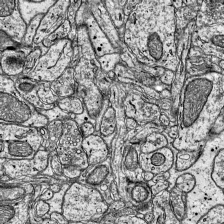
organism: Mouse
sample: Visual Cortex